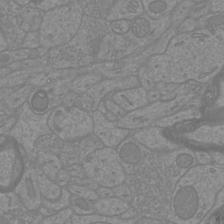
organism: Mouse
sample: Cortical neurons